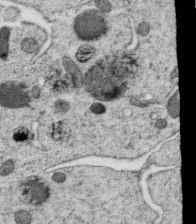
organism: C. elegans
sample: C. elegans oocyte; sperm cells